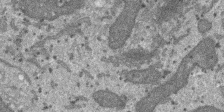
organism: Human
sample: Lung epithelial cells infected with SARS-CoV-2